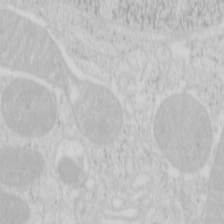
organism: Mouse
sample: Pancreas